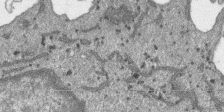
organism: Human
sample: Lung epithelial cells infected with SARS-CoV-2